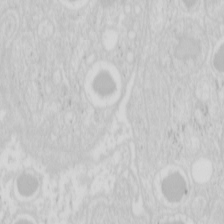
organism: Mouse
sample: Pancreas